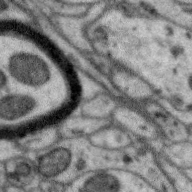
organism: Zebra finch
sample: Brain